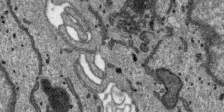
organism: Human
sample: Lung epithelial cells, uninfected (mock) control